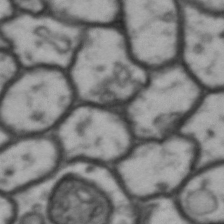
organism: Drosophila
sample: Brain